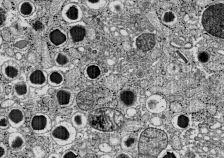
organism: C57BL Mouse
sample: Pancreatic islet